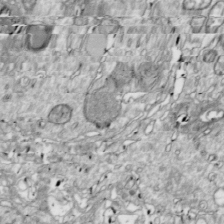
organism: Drosophila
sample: Cell division; meiosis; drosophila spermatocytes